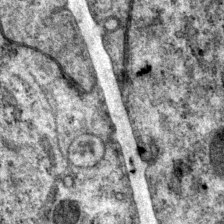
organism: P. pacificus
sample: Pharynx